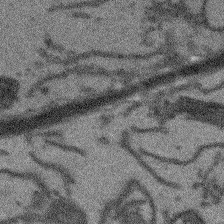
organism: Arabidopsis thaliana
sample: Root tip